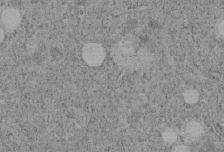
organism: C. elegans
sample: C. elegans embryo early stage